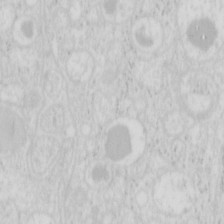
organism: Mouse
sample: Pancreas